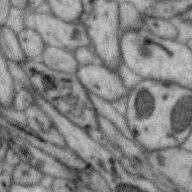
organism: Zebra finch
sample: Brain